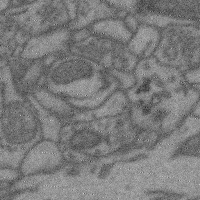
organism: Mouse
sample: Cerebral cortex